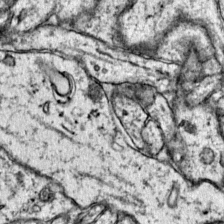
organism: Mouse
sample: Primary visual cortex